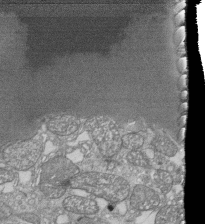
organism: Tetrahymena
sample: Cilia in tetrahymena